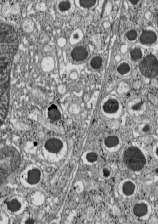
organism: C57BL Mouse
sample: Pancreatic islet